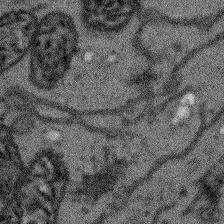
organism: Arabidopsis thaliana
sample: Root tip